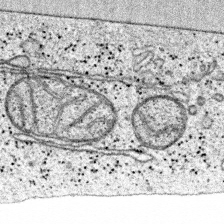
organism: Human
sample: HeLa cells